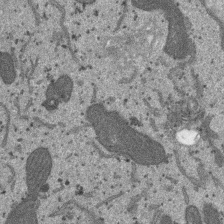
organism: Human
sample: Lung epithelial cells infected with SARS-CoV-2